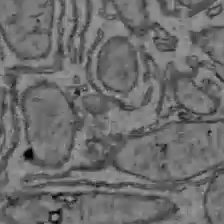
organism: C57BL Mouse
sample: Liver